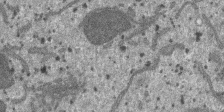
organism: Human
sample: Lung epithelial cells infected with SARS-CoV-2